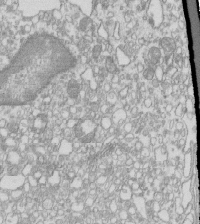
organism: Mouse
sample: Macrophages